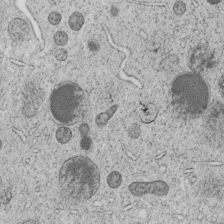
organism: C. elegans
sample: C. elegans embryo early stage